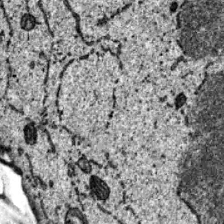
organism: Human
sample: HeLa cells